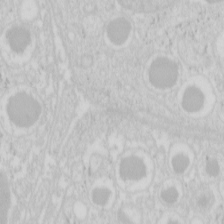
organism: Mouse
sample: Pancreas